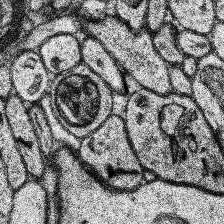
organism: Human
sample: Temporal Lobe